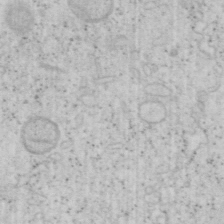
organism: Human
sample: HeLa cells